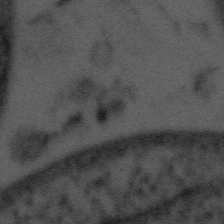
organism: Tuwongella immobilis